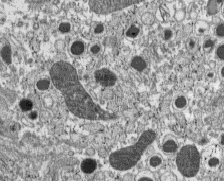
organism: C57BL Mouse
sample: Pancreatic islet